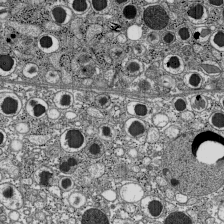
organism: C57BL Mouse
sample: Pancreatic islet